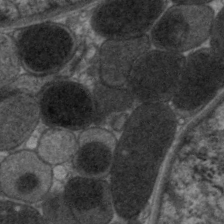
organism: C. elegans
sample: Pharynx